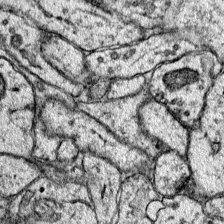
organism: Mouse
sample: Primary visual cortex